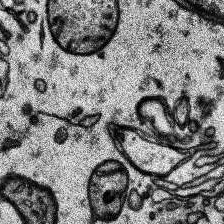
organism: Human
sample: Temporal Lobe